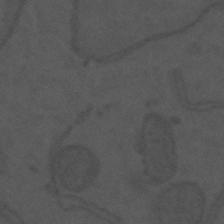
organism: Mouse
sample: Suprachiasmatic nucleus